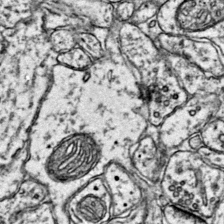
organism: Mouse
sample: Primary visual cortex